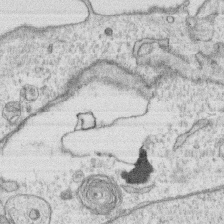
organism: Human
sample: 1205lu cells